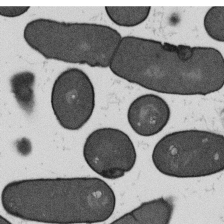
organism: B. subtilis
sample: Bacterial spore